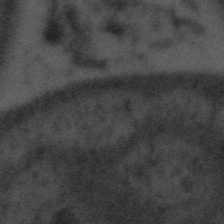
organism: Tuwongella immobilis